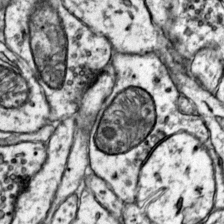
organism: Mouse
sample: Primary visual cortex